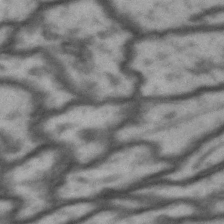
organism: Drosophila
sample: Brain